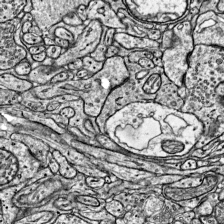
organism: Mouse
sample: Visual Cortex